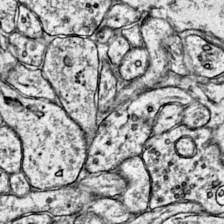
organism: Mouse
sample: Primary visual cortex